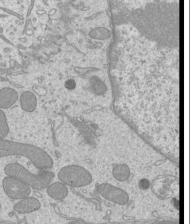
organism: Mouse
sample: Cilia; mouse epididymis